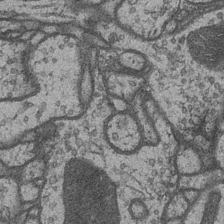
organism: Drosophila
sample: Optic medulla